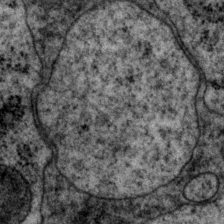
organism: P. pacificus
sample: Pharynx